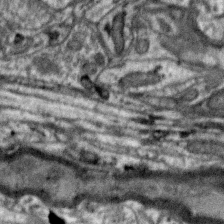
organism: Zebra finch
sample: Brain